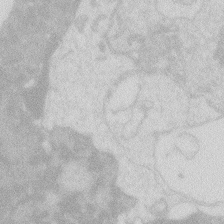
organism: Zebrafish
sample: Macrophage